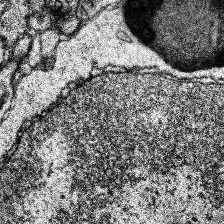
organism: Human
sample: Temporal Lobe